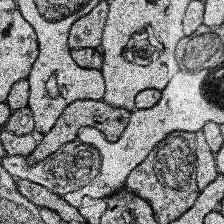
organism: Human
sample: Temporal Lobe